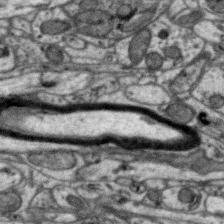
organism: Zebra finch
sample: Brain